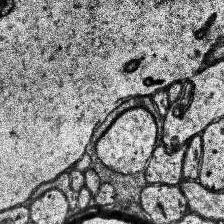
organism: Human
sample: Temporal Lobe